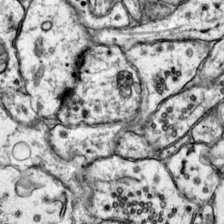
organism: Mouse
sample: Primary visual cortex